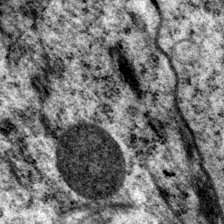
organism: P. pacificus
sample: Pharynx